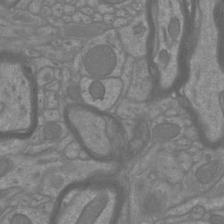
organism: Mouse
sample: Cortical neurons